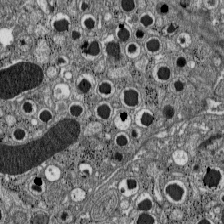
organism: C57BL Mouse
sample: Pancreatic islet